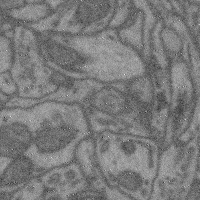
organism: Mouse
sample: Cerebral cortex